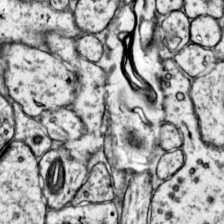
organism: Mouse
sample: Primary visual cortex